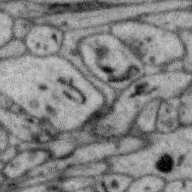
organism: Zebra finch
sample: Brain